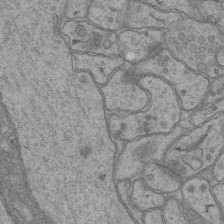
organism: Mouse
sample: CA1 Hippocampus